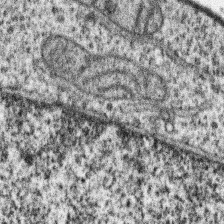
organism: Human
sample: HeLa cells